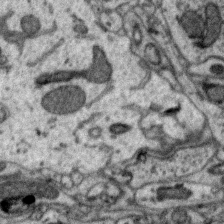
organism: Zebra finch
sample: Brain